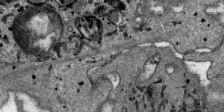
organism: Human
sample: Lung epithelial cells, uninfected (mock) control